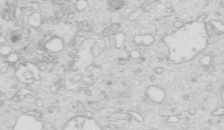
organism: Mouse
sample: Multiciliated cells